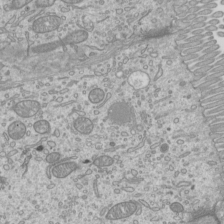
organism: Mouse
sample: Cilia; mouse epididymis